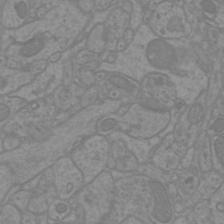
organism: Mouse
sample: Cortical neurons